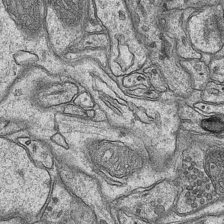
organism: Mouse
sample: CA1 Hippocampus